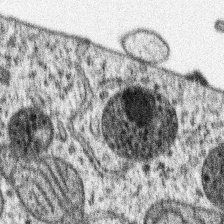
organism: Human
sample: HeLa cells